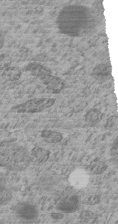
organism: C. elegans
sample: C. elegans embryo early stage